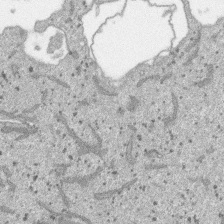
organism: Human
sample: Lung epithelial cells infected with SARS-CoV-2